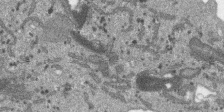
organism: Human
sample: Lung epithelial cells infected with SARS-CoV-2